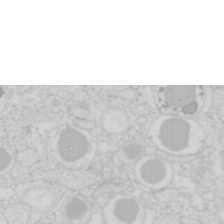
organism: Mouse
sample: Pancreas